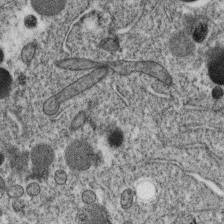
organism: C. elegans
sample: C. elegans oocyte; sperm cells